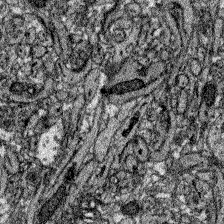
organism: Zebrafish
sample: Larval olfactory bulb